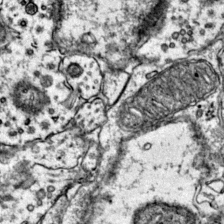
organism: Mouse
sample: Primary visual cortex